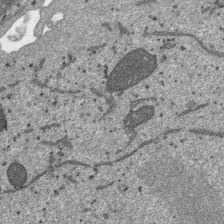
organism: Human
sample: Lung epithelial cells infected with SARS-CoV-2